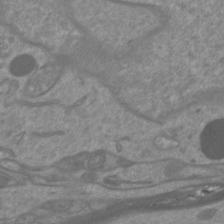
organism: Mouse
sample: Cortical neurons